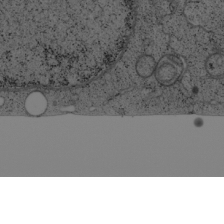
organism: African green monkey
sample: COS-7 cells